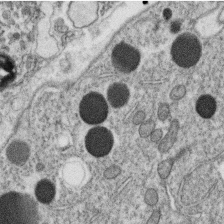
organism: C. elegans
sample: C. elegans oocyte; sperm cells